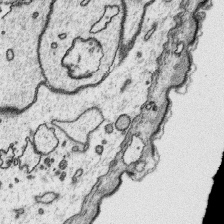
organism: Platynereis dumerilii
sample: Parapodia